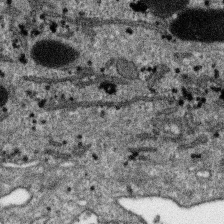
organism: Human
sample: Lung epithelial cells infected with SARS-CoV-2